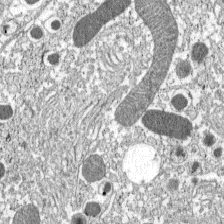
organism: C57BL Mouse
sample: Pancreatic islet